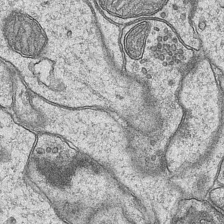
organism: Mouse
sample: CA1 Hippocampus